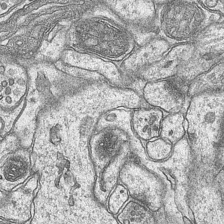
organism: Mouse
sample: CA1 Hippocampus